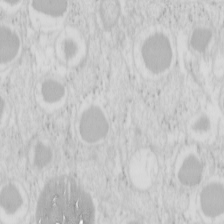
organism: Mouse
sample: Pancreas